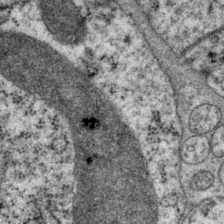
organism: P. pacificus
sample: Pharynx